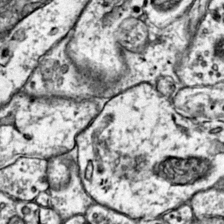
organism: Mouse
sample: Primary visual cortex